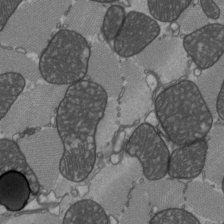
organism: C57BL Mouse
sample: Heart